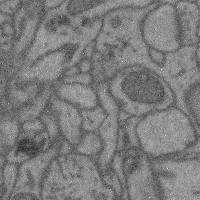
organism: Mouse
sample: Cerebral cortex